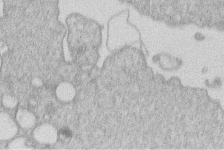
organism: Human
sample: Macrophage cells